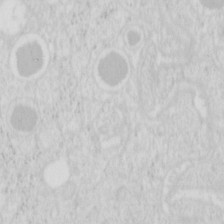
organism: Mouse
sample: Pancreas